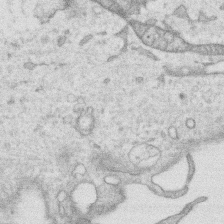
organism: Human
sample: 1205lu cells